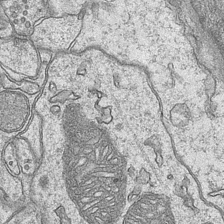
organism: Mouse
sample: CA1 Hippocampus